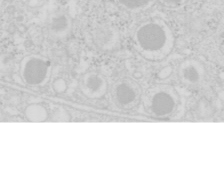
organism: Mouse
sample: Pancreas